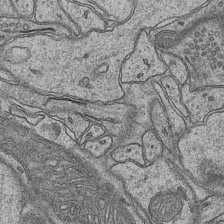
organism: Mouse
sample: CA1 Hippocampus